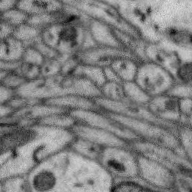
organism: Zebra finch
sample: Brain